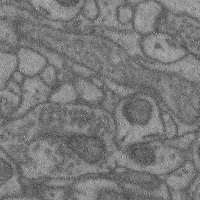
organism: Mouse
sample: Cerebral cortex